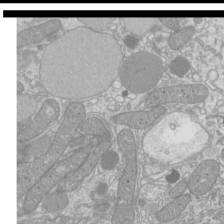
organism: Mouse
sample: Cilia; mouse epididymis